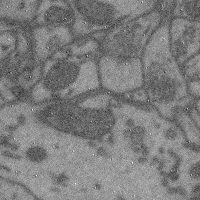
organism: Mouse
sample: Cerebral cortex